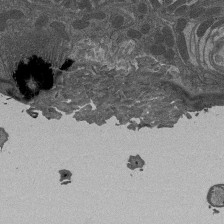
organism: Drosophila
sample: Antenna